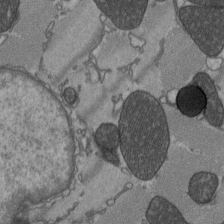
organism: C57BL Mouse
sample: Heart